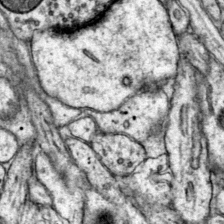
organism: Mouse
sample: Primary visual cortex